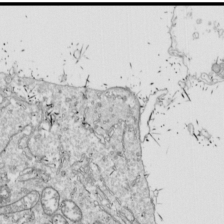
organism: Drosophila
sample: Cell division; meiosis; drosophila spermatocytes